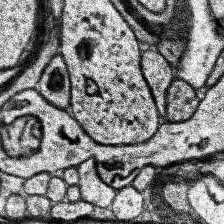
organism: Human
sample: Temporal Lobe